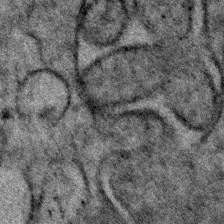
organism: Human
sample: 1205lu cells